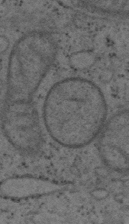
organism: Human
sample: HeLa cells